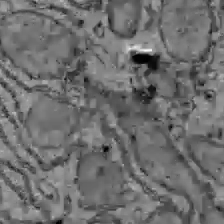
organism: C57BL Mouse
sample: Liver